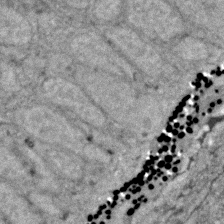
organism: Zebrafish